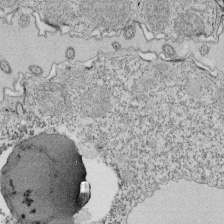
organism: Tetrahymena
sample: Cilia in tetrahymena